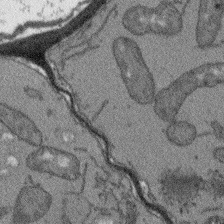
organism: Arabidopsis thaliana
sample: Root tip